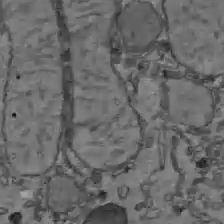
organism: C57BL Mouse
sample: Liver